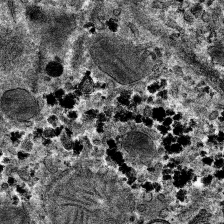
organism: Mouse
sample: Mouse hepatocytes